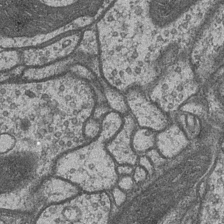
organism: Drosophila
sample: Optic medulla